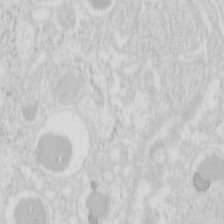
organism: Mouse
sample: Pancreas